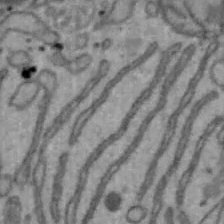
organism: Mouse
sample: Liver